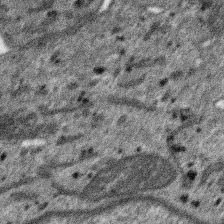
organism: Human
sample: Lung epithelial cells infected with SARS-CoV-2